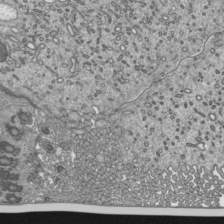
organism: Mouse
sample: Mouse epididymis efferent ductule cilia